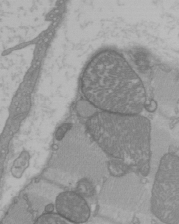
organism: C57BL Mouse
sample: Heart